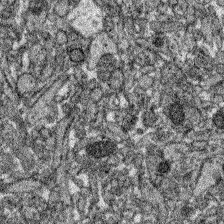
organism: Zebrafish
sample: Larval olfactory bulb